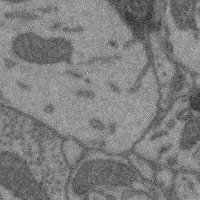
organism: Mouse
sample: Cerebral cortex